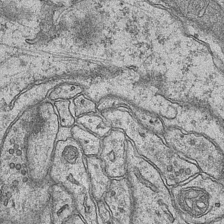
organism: Mouse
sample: CA1 Hippocampus